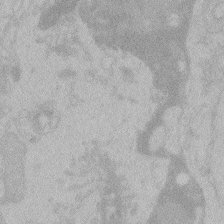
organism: Zebrafish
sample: Macrophage infected with Toxoplasma gondii